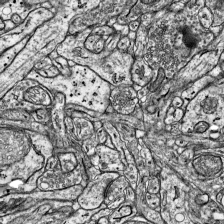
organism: Mouse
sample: Visual Cortex